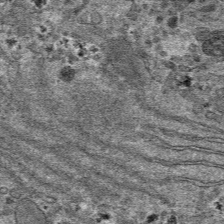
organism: Mouse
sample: Mouse hepatocytes